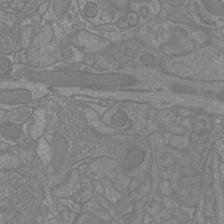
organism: Mouse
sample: Cortical neurons